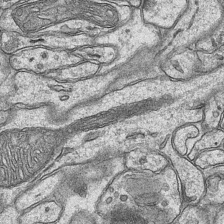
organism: Mouse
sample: CA1 Hippocampus